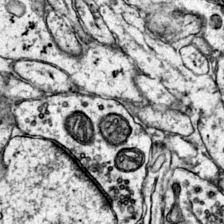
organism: Mouse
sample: Primary visual cortex